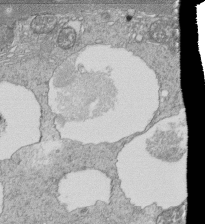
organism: Tetrahymena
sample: Cilia in tetrahymena